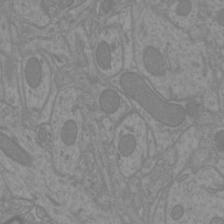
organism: Mouse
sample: Cortical neurons